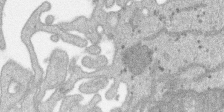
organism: Human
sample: Lung epithelial cells infected with SARS-CoV-2